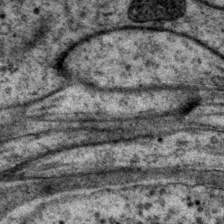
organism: P. pacificus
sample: Pharynx